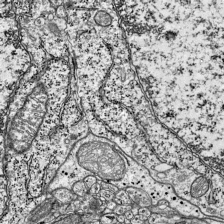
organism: Mouse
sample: Visual Cortex